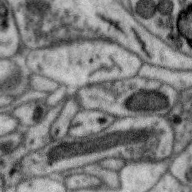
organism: Zebra finch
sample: Brain